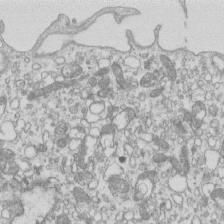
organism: Mouse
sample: Macrophages